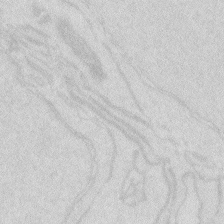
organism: Zebrafish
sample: Macrophage